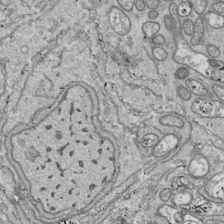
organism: Drosophila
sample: Cell division; meiosis; drosophila spermatocytes